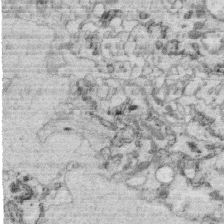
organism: C. elegans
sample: C. elegans oocyte; sperm cells